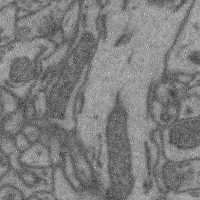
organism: Mouse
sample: Cerebral cortex